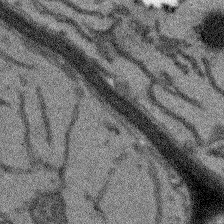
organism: Arabidopsis thaliana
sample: Root tip